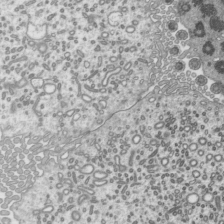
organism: Mouse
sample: Mouse epididymis efferent ductule cilia